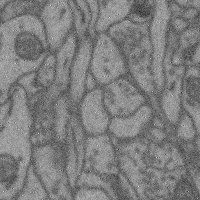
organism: Mouse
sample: Cerebral cortex